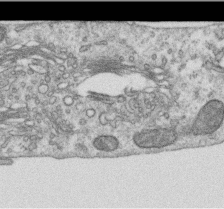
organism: Human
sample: Centriole in RPE cells